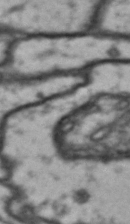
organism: Drosophila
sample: Brain